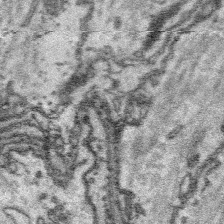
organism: Platynereis dumerilii